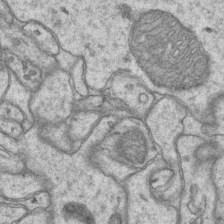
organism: Mouse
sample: CA1 Hippocampus